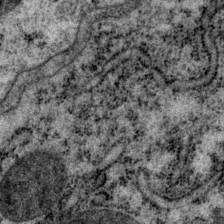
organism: P. pacificus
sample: Pharynx